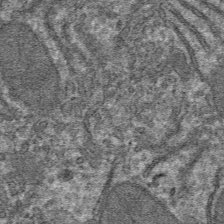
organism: Mouse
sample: Mouse hepatocytes